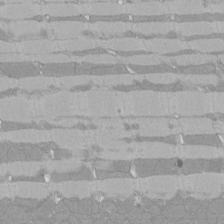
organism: Rat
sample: Left ventricle